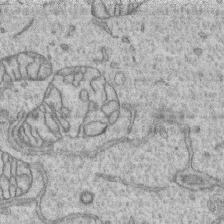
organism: Human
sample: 1205lu cells